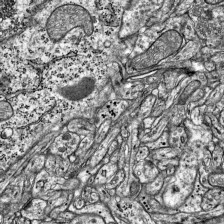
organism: Mouse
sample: Visual Cortex